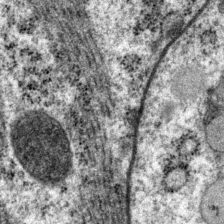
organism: P. pacificus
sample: Pharynx